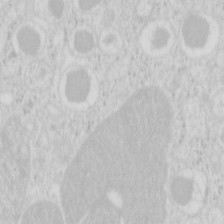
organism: Mouse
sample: Pancreas